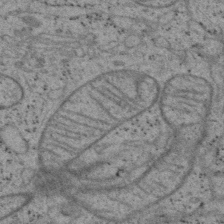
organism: Human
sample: HeLa cells